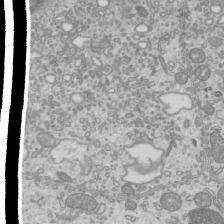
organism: Mouse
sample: Cilia; mouse epididymis